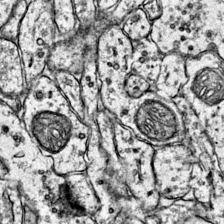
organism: Mouse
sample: Primary visual cortex